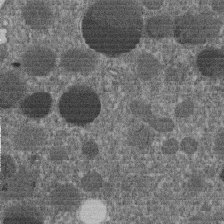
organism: C. elegans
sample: C. elegans embryo early stage